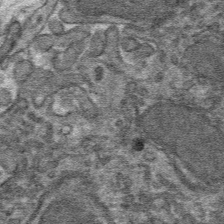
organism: Mouse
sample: Mouse hepatocytes